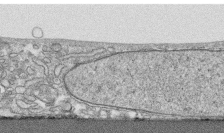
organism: Human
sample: CRL-1474